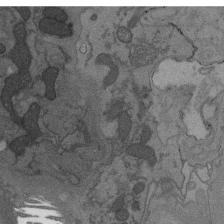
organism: C. elegans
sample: AFD neurons C. elegans